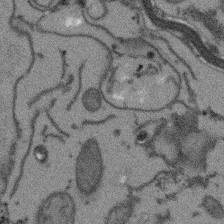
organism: Arabidopsis thaliana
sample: Root tip